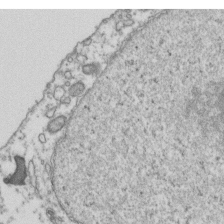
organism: Human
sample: Activated Jurkat CD4+ T cells